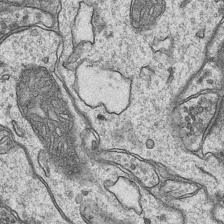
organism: Mouse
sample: CA1 Hippocampus